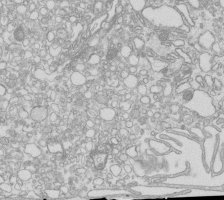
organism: Mouse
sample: Macrophages